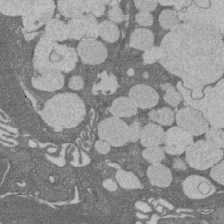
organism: Rat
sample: Salivary granule